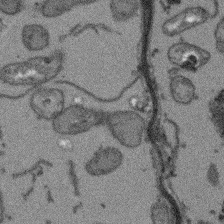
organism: Arabidopsis thaliana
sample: Root tip